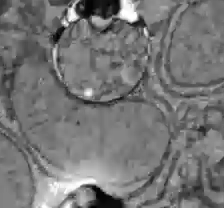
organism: C57BL Mouse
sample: Liver